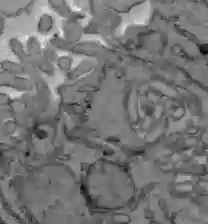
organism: C57BL Mouse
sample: Liver